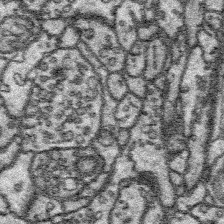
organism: Platynereis dumerilii